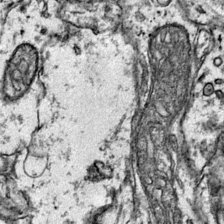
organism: Mouse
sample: Primary visual cortex